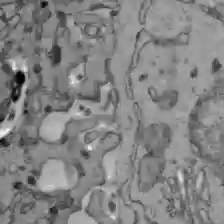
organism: C57BL Mouse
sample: Liver